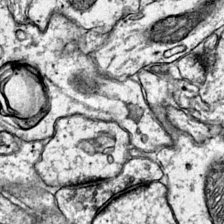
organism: Mouse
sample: Primary visual cortex